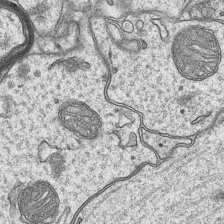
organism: Mouse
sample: CA1 Hippocampus